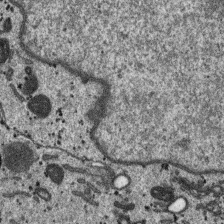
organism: Human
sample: Lung epithelial cells infected with SARS-CoV-2